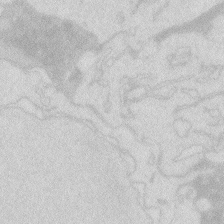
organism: Zebrafish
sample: Macrophage